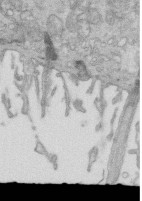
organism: Mouse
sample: Multiciliated cells